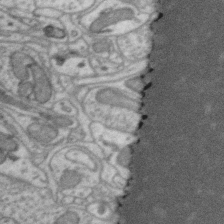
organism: Zebra finch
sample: Brain